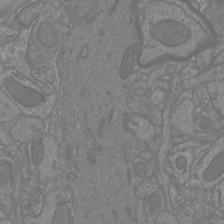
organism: Mouse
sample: Cortical neurons